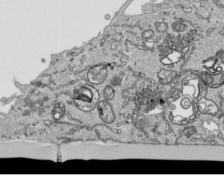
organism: Human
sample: Mitochondria in HCT116 cells